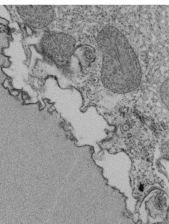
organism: Tetrahymena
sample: Cilia in tetrahymena